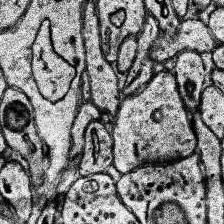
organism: Human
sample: Temporal Lobe